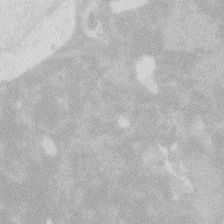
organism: Zebrafish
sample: Macrophage